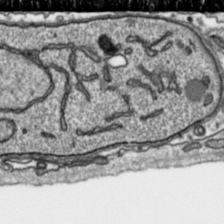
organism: Toxoplasma gondii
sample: Parasites in a vacuole inside a host cell